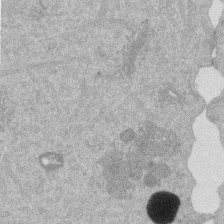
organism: Mouse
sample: Dividing mouse embryo 1 cell stage